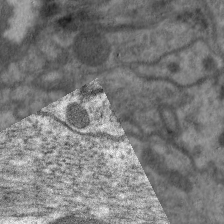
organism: C. elegans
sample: Pharynx